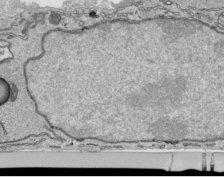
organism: Human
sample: Mitochondria in HCT116 cells